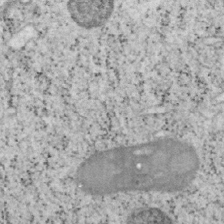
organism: Mouse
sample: OT-I killer T cells with ID8 ovarian cancer cells